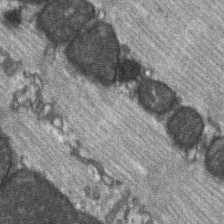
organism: C57BL Mouse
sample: Soleus